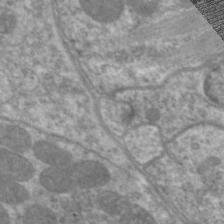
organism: C. elegans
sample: Pharynx